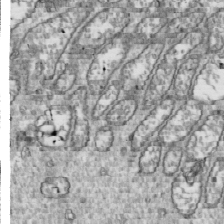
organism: Drosophila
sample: Cell division; meiosis; drosophila spermatocytes